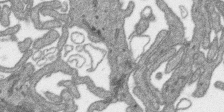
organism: Human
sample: Lung epithelial cells infected with SARS-CoV-2